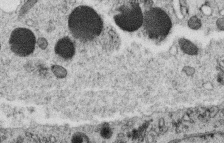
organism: C. elegans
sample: C. elegans oocyte; sperm cells